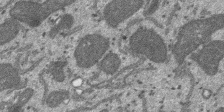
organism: Human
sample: Lung epithelial cells infected with SARS-CoV-2